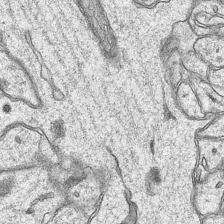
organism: Mouse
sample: CA1 Hippocampus